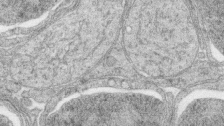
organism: Zebrafish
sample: synaptic ribbons in rod cells and cone cells